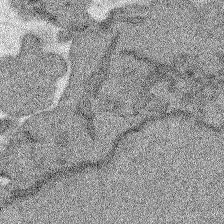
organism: Human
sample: HeLa cells